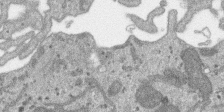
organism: Human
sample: Lung epithelial cells infected with SARS-CoV-2